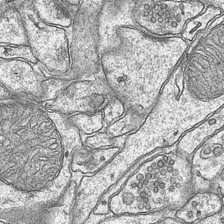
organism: Mouse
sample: CA1 Hippocampus